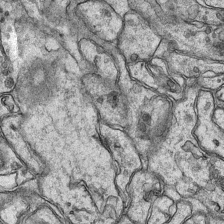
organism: Mouse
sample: CA1 Hippocampus